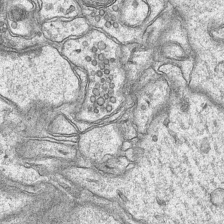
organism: Mouse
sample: CA1 Hippocampus